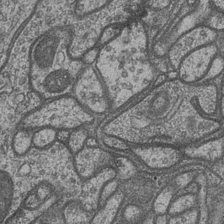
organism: Drosophila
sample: Optic medulla